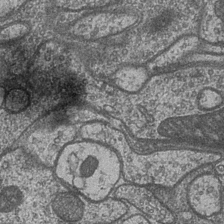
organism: Drosophila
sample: Optic medulla